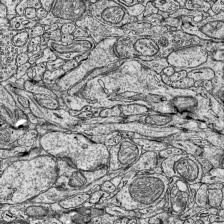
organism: Mouse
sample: Visual Cortex